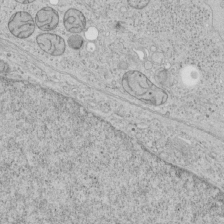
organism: Human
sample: Mitochondria in HCT116 cells